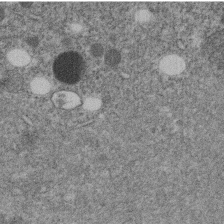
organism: C. elegans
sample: C. elegans embryo early stage